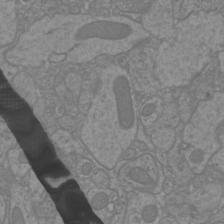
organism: Mouse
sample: Cortical neurons